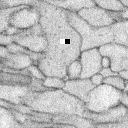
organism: Rabbit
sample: Retina